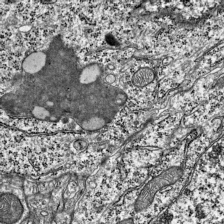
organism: Mouse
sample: Visual Cortex